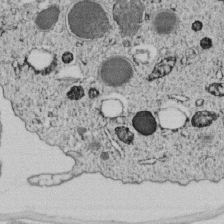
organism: C. elegans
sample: C. elegans embryo early stage